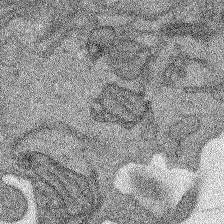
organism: Human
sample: HeLa cells